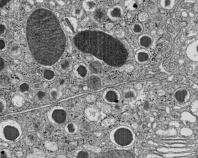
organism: C57BL Mouse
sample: Pancreatic islet